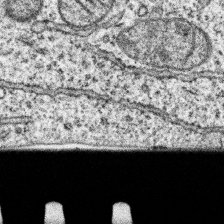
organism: Human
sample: HeLa cells